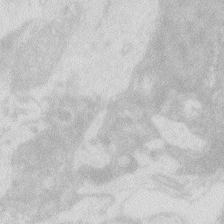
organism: Zebrafish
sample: Macrophage